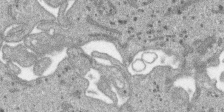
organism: Human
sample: Lung epithelial cells infected with SARS-CoV-2